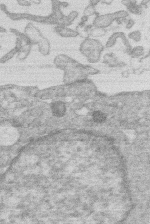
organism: Human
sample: Macrophage cells